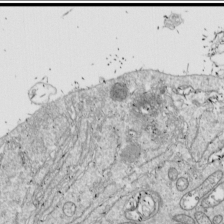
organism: Drosophila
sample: Cell division; meiosis; drosophila spermatocytes